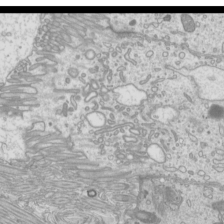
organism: Mouse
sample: Cilia; mouse epididymis